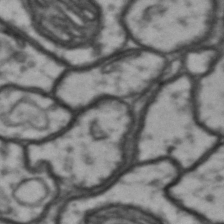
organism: Drosophila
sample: Brain